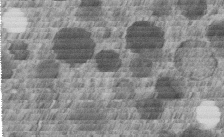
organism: C. elegans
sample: C. elegans embryo early stage